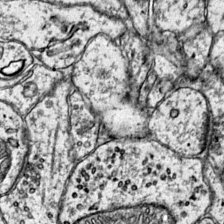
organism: Mouse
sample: Primary visual cortex